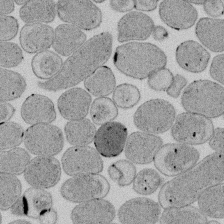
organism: E. coli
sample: Bacterial nucleoid